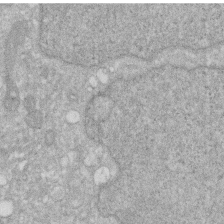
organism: Human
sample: HIV infected U937 cells